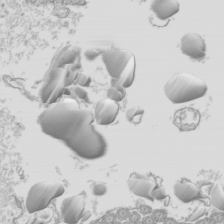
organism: Mouse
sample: Cilia; mouse epididymis